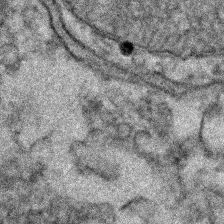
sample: Kidney